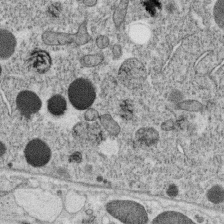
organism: C. elegans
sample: C. elegans oocyte; sperm cells